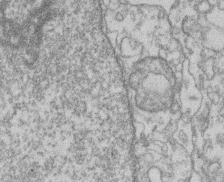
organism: Mouse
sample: T cell stromal cell synapse